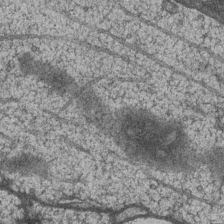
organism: Drosophila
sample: Optic medulla